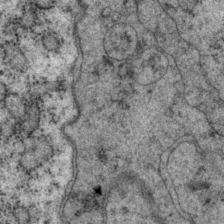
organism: P. pacificus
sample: Pharynx